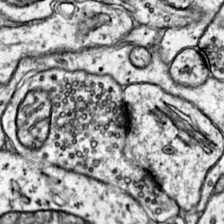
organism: Mouse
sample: Primary visual cortex